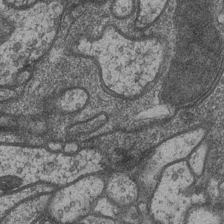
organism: Drosophila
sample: Optic medulla